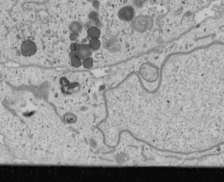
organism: Human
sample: Mitochondria in U2OS cells